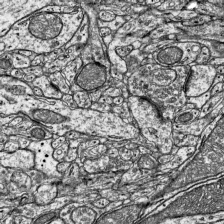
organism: Mouse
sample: Visual Cortex